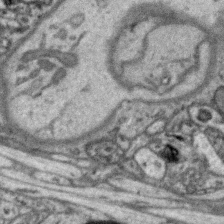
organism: Zebra finch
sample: Brain